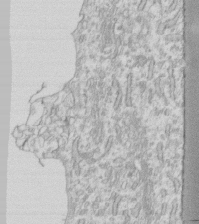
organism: Human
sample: Fibroblast cells